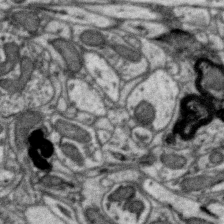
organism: Zebra finch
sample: Brain